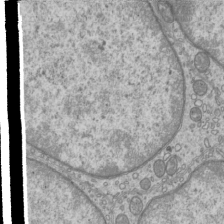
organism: Mouse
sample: Cilia; mouse epididymis